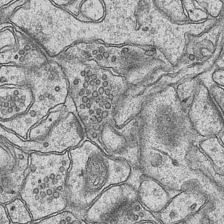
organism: Mouse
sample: CA1 Hippocampus